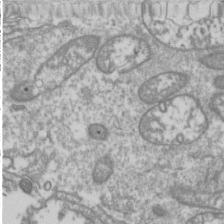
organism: Drosophila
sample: Cell division; meiosis; drosophila spermatocytes